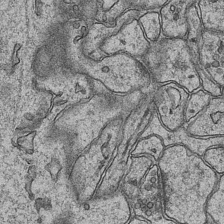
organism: Mouse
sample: CA1 Hippocampus